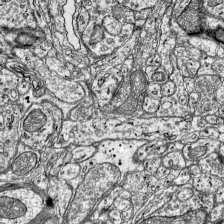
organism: Mouse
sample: Visual Cortex